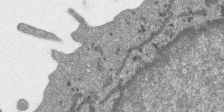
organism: Human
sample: Lung epithelial cells infected with SARS-CoV-2